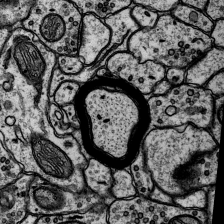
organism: Rat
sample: Hippocampus